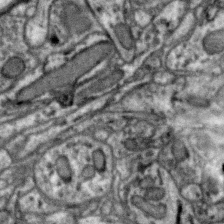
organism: Zebra finch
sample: Brain